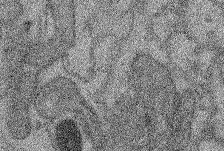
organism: Human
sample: HeLa cells